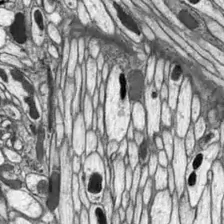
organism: Drosophila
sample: Optic lobe